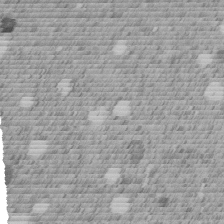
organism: C. elegans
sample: C. elegans embryo early stage